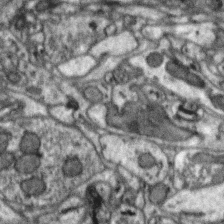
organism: Zebra finch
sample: Brain